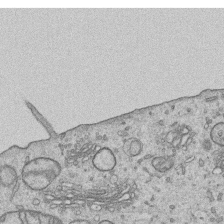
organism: Human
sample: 1205lu cells